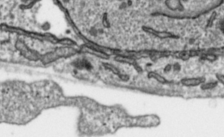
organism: Toxoplasma gondii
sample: Parasites in a vacuole inside a host cell